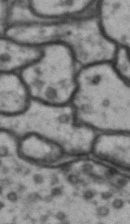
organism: Drosophila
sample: Brain